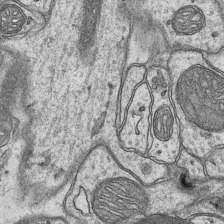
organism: Mouse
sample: CA1 Hippocampus